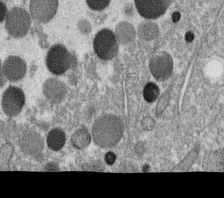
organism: C. elegans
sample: C. elegans oocyte; sperm cells